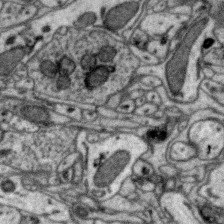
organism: Zebra finch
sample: Brain